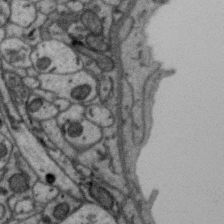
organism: Zebra finch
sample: Brain